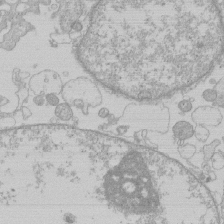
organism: Human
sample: Macrophage cells